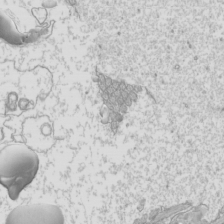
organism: Mouse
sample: Cilia; mouse epididymis